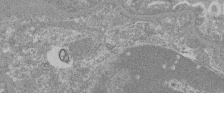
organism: Mouse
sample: Glomerulus